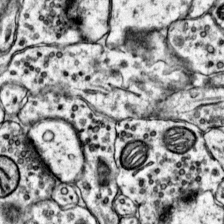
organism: Mouse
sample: Primary visual cortex